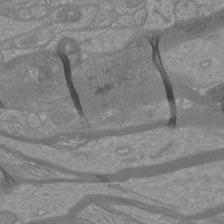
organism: Mouse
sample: Cortical neurons